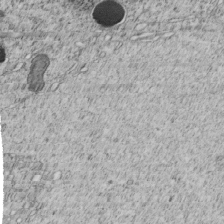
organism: C. elegans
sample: C. elegans embryo early stage